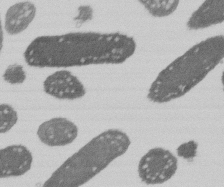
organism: E. coli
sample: Bacterial nucleoid